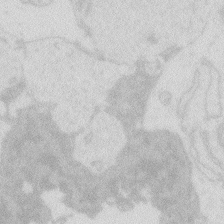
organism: Zebrafish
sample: Macrophage